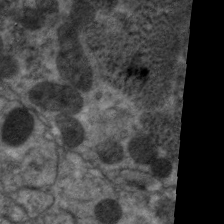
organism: C. elegans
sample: Pharynx